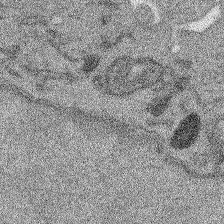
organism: Human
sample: HeLa cells